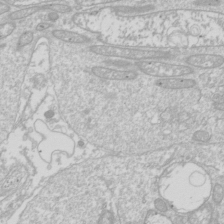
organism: Drosophila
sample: Cell division; meiosis; drosophila spermatocytes